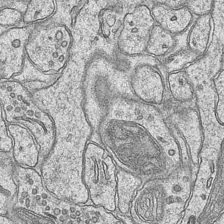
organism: Mouse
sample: CA1 Hippocampus